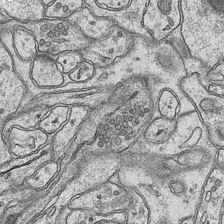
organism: Mouse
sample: CA1 Hippocampus